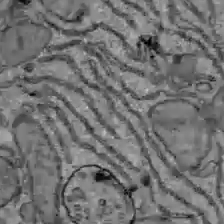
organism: C57BL Mouse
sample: Liver